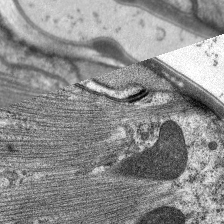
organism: C. elegans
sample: Pharynx